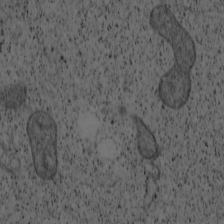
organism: African green monkey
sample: COS-7 cells